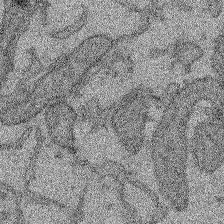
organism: Human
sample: HeLa cells